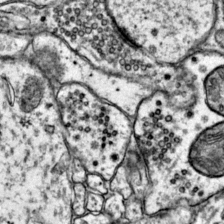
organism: Mouse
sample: Primary visual cortex